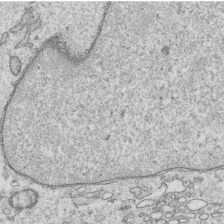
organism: Human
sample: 1205lu cells